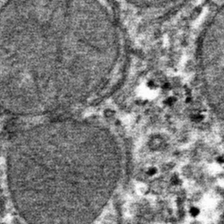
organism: Mouse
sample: Mouse hepatocytes